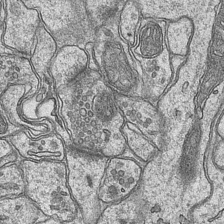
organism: Mouse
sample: CA1 Hippocampus